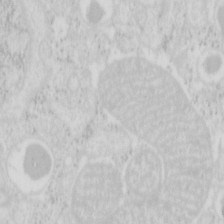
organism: Mouse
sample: Pancreas